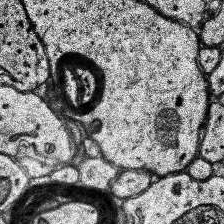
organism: Human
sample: Temporal Lobe